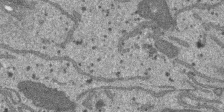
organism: Human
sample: Lung epithelial cells infected with SARS-CoV-2